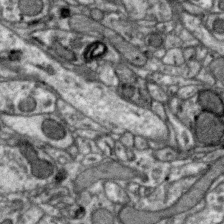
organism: Zebra finch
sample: Brain